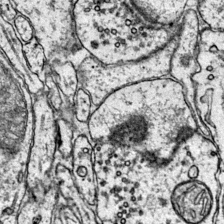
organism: Mouse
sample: Primary visual cortex